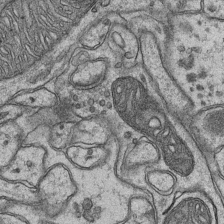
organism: Mouse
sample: CA1 Hippocampus